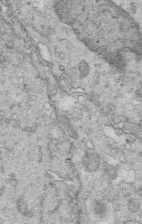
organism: Mouse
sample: Multiciliated cells